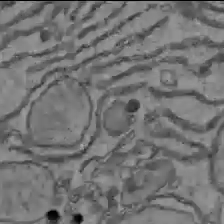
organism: C57BL Mouse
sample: Liver